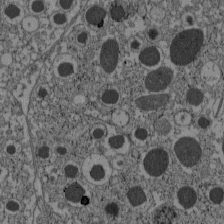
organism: C57BL Mouse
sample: Pancreatic islet